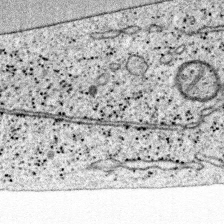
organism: Human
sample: HeLa cells